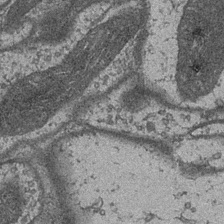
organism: Drosophila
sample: Optic medulla